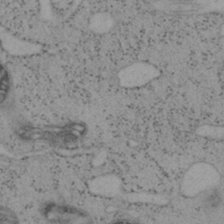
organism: Mouse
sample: OT-I killer T cells with ID8 ovarian cancer cells